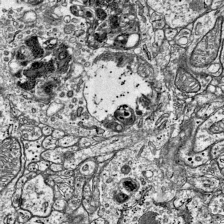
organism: Mouse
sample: Visual Cortex